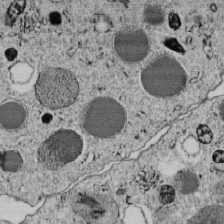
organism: C. elegans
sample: C. elegans embryo early stage